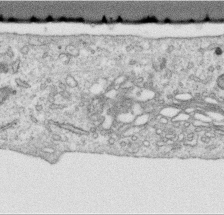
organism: Human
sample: Centriole in RPE cells